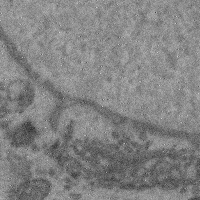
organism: Mouse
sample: Cerebral cortex